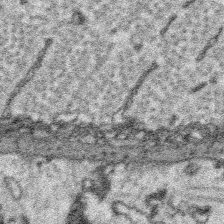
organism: Platynereis dumerilii